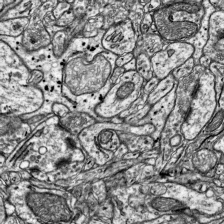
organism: Mouse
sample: Visual Cortex